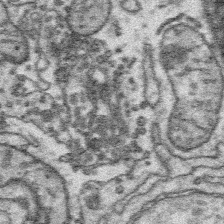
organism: Platynereis dumerilii